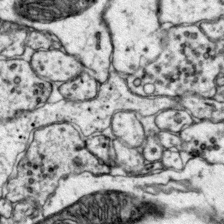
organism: Mouse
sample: Primary visual cortex